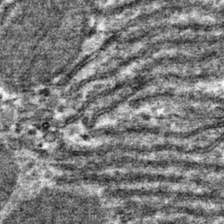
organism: Mouse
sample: Mouse hepatocytes